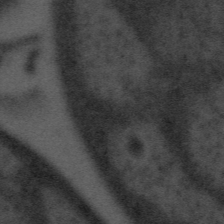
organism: Tuwongella immobilis